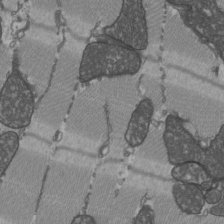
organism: C57BL Mouse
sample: Heart